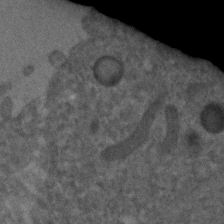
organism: C. elegans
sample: C. elegans embryo